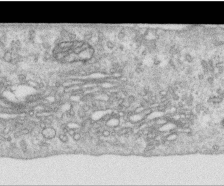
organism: Human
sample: Centriole in RPE cells